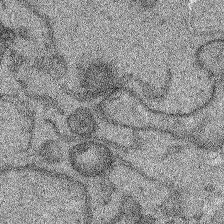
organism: Human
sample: HeLa cells